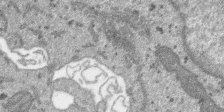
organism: Human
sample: Lung epithelial cells infected with SARS-CoV-2